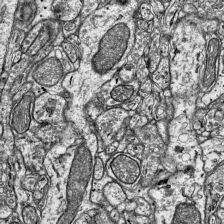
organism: Mouse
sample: Visual Cortex